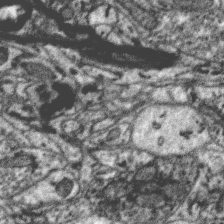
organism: Zebra finch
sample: Brain